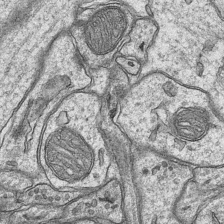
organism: Mouse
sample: CA1 Hippocampus